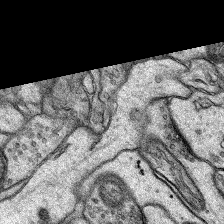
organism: Rat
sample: Hippocampus